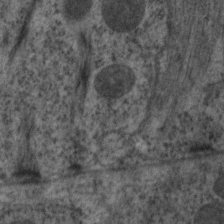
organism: C. elegans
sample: Pharynx